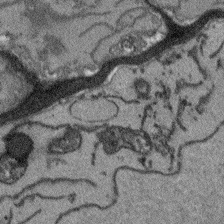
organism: Arabidopsis thaliana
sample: Root tip